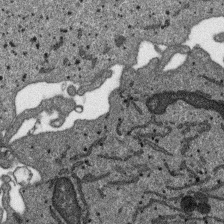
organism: Human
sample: Lung epithelial cells infected with SARS-CoV-2